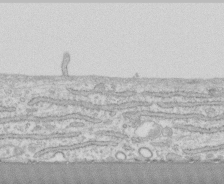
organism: Human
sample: CRL-1474